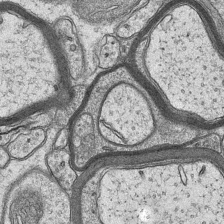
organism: Mouse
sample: CA1 Hippocampus